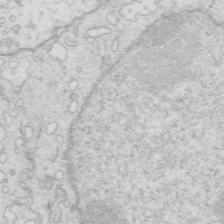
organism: Mouse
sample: Multiciliated cells